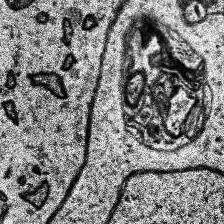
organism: Human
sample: Temporal Lobe